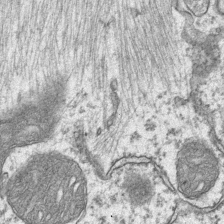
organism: Mouse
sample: CA1 Hippocampus